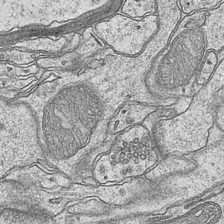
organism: Mouse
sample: CA1 Hippocampus